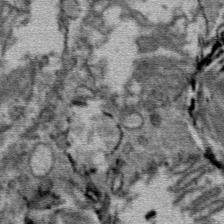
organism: Mouse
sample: Mouse Salivary gland